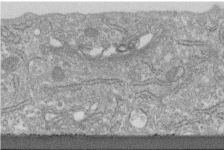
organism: Human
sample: Centriole in fibroblast cells